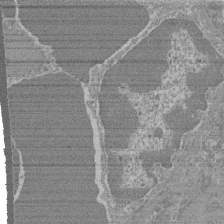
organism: Mouse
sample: Glomerulus